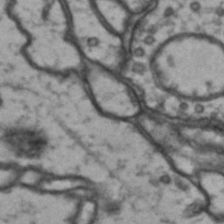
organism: Drosophila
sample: Brain